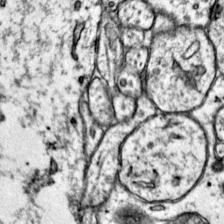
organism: Mouse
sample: Primary visual cortex